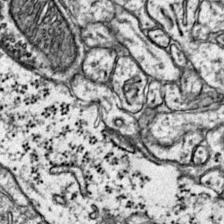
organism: Mouse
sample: Primary visual cortex